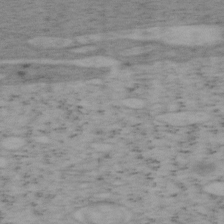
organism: Mouse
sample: OT-I killer T cells with ID8 ovarian cancer cells